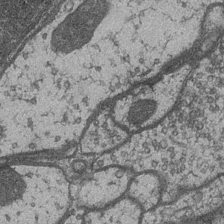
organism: Drosophila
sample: Optic medulla